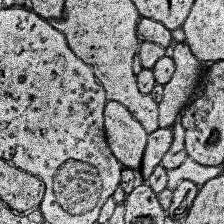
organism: Human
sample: Temporal Lobe